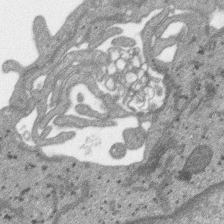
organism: Human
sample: Lung epithelial cells infected with SARS-CoV-2